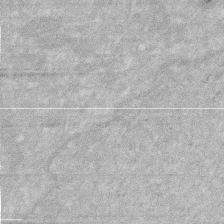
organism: Human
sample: HIV infected U937 cells